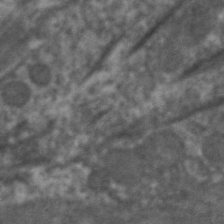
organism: C. elegans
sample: Pharynx